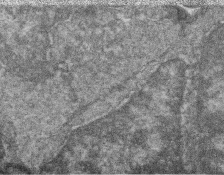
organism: Zebrafish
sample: Cilia; retinal pigment epithelium